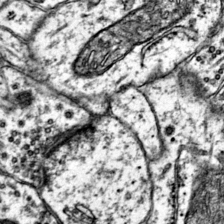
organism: Mouse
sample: Primary visual cortex